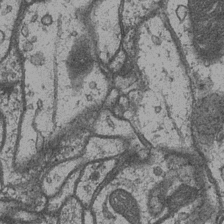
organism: Drosophila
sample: Optic medulla